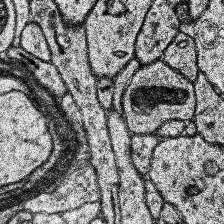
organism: Human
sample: Temporal Lobe